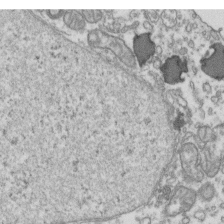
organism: Human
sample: Activated Jurkat CD4+ T cells